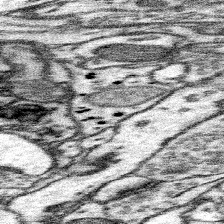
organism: Mouse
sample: Somatosensory cortex neuropil